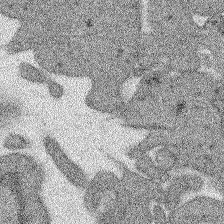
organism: Human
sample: HeLa cells